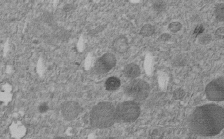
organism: C. elegans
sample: C. elegans embryo early stage